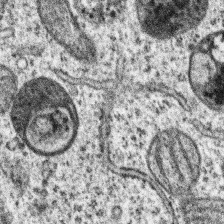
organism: Human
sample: HeLa cells